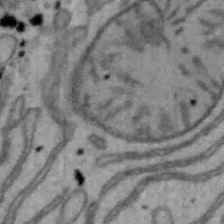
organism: Mouse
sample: Liver